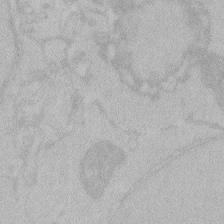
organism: Zebrafish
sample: Macrophage infected with Toxoplasma gondii